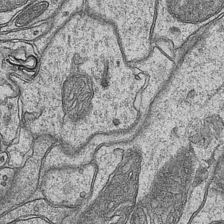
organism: Mouse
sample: CA1 Hippocampus